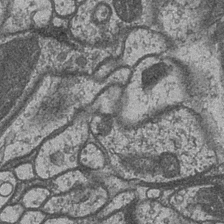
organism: Drosophila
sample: Optic medulla